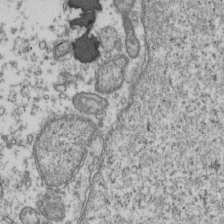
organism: Human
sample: Activated Jurkat CD4+ T cells